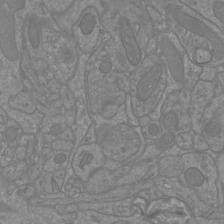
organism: Mouse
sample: Cortical neurons